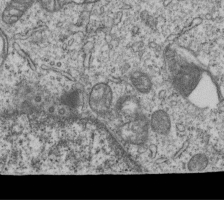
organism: Human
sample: MDA-MB-231 cells